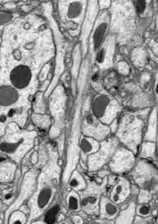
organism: Drosophila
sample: Optic lobe